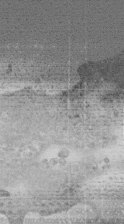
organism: Human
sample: Centriole in RPE cells